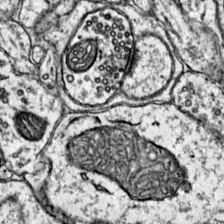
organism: Mouse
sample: Primary visual cortex